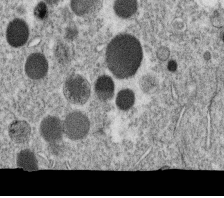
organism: C. elegans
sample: C. elegans oocyte; sperm cells